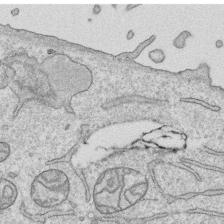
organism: Human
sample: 1205lu cells